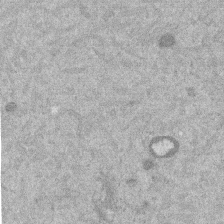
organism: Mouse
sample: Dividing mouse embryo 1 cell stage